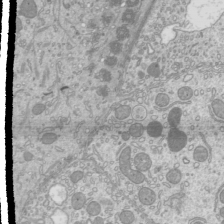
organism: Mouse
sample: Cilia; mouse epididymis